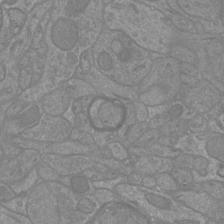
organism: Mouse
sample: Cortical neurons